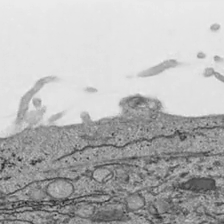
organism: Human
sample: HeLa cells